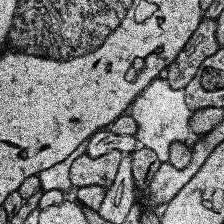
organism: Human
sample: Temporal Lobe